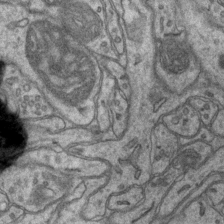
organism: Mouse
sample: CA1 Hippocampus